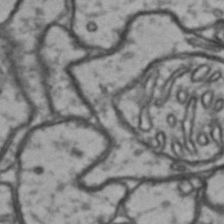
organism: Drosophila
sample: Brain